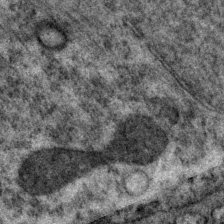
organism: P. pacificus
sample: Pharynx